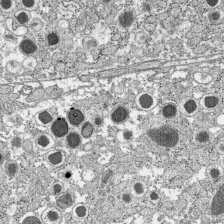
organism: C57BL Mouse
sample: Pancreatic islet